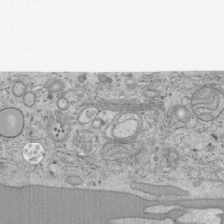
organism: Human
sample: HeLa cells